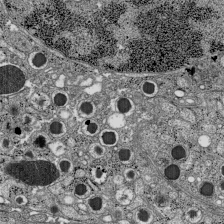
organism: C57BL Mouse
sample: Pancreatic islet